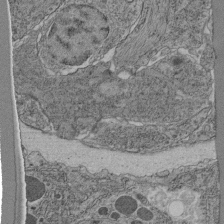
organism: C. elegans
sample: C. elegans pharynx